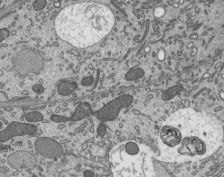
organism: Mouse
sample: Mouse epididymis efferent ductule cilia